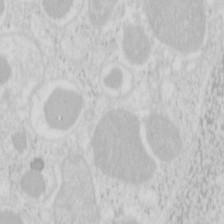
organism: Mouse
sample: Pancreas